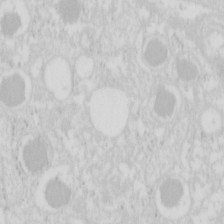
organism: Mouse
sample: Pancreas